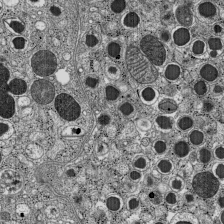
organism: C57BL Mouse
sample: Pancreatic islet